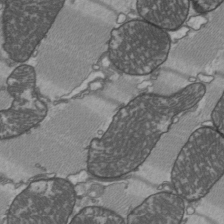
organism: C57BL Mouse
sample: Heart